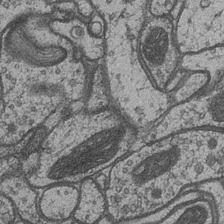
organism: Drosophila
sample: Optic medulla